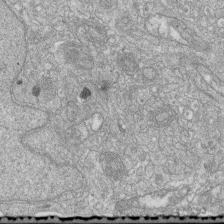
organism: Human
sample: HeLa cell HIV synapse